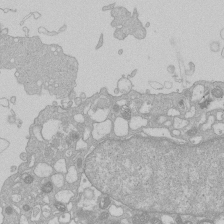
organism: Human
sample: Macrophage cells